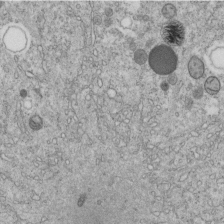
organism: C. elegans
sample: C. elegans embryo early stage